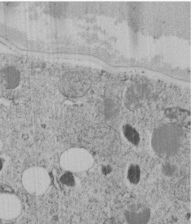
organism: C. elegans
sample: C. elegans embryo early stage